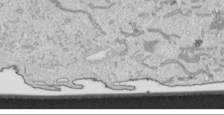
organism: Human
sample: Mitochondria in HCT116 cells